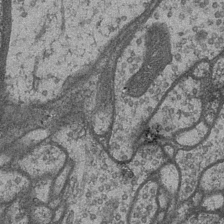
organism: Drosophila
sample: Optic medulla